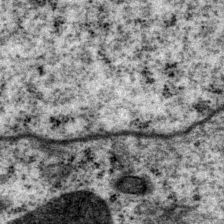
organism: P. pacificus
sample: Pharynx